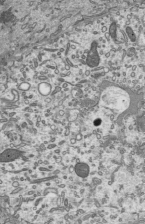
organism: Mouse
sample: Mouse epididymis efferent ductule cilia